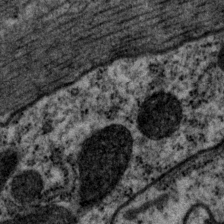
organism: P. pacificus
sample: Pharynx